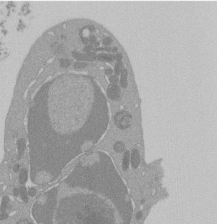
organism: Mouse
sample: Activated Pmel transgenic CD8+ T Cells